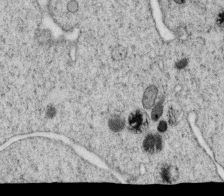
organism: C. elegans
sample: C. elegans oocyte; sperm cells